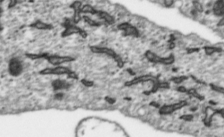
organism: Toxoplasma gondii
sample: Parasites in a vacuole inside a host cell